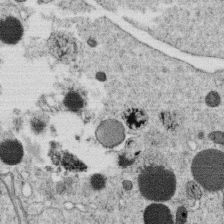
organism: C. elegans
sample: C. elegans oocyte; sperm cells